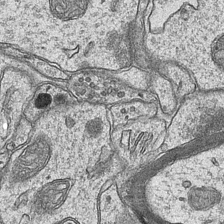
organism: Mouse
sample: CA1 Hippocampus